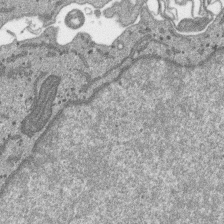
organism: Human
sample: Lung epithelial cells infected with SARS-CoV-2